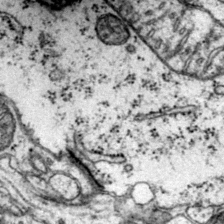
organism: Mouse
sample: Primary visual cortex